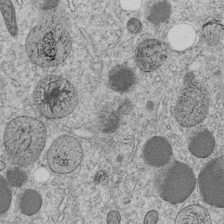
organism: C. elegans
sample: C. elegans embryo early stage